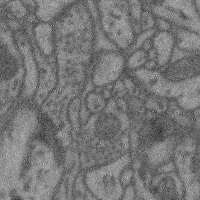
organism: Mouse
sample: Cerebral cortex